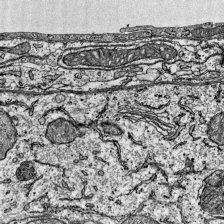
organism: Mouse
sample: Visual Cortex